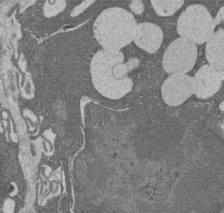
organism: Rat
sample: Salivary granule